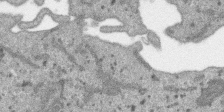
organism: Human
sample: Lung epithelial cells infected with SARS-CoV-2